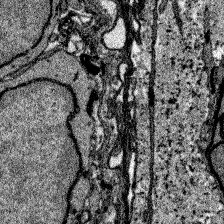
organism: Zebrafish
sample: Larval olfactory bulb